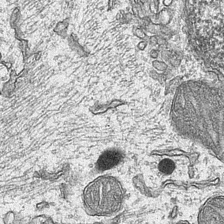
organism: Mouse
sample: CA1 Hippocampus